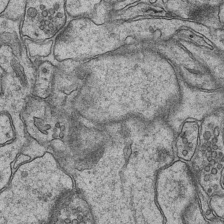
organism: Mouse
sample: CA1 Hippocampus